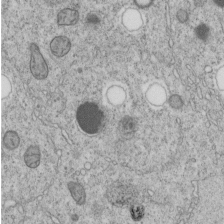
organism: C. elegans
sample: C. elegans embryo early stage